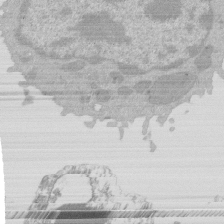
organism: Mouse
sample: Activated Pmel transgenic CD8+ T Cells